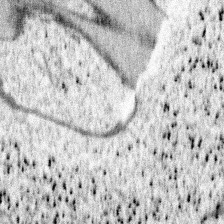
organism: Human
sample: HeLa cells